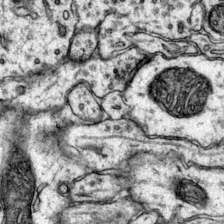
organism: Mouse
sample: Primary visual cortex